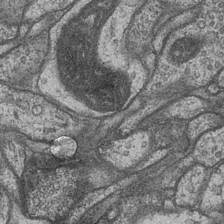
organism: Drosophila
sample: Optic medulla